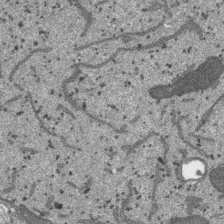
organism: Human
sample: Lung epithelial cells infected with SARS-CoV-2